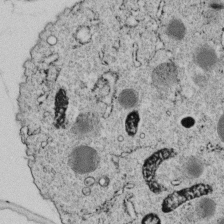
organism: C. elegans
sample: C. elegans embryo early stage